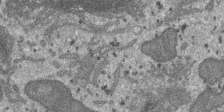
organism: Human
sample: Lung epithelial cells infected with SARS-CoV-2